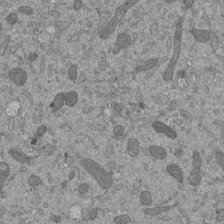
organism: Mouse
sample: ED-1 cell nuclei; centrioles